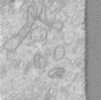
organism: Human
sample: Centriole in RPE cells